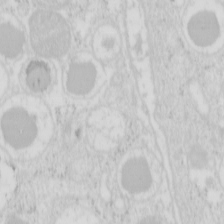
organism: Mouse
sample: Pancreas